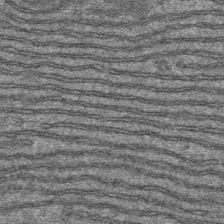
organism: Mouse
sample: Mouse hepatocytes